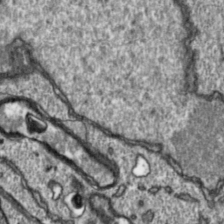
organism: Toxoplasma gondii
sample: Parasites in a vacuole inside a host cell